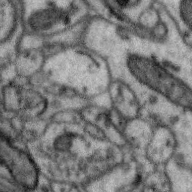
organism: Zebra finch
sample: Brain